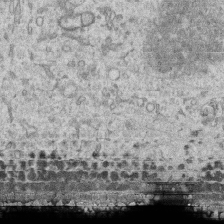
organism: Human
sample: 1205lu cells